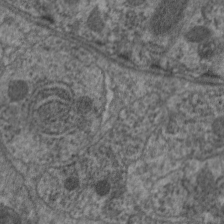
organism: C. elegans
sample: Pharynx